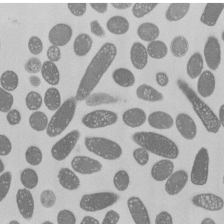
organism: E. coli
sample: Bacterial nucleoid